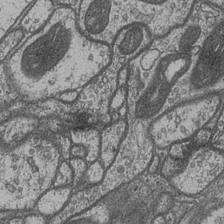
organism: Drosophila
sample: Optic medulla